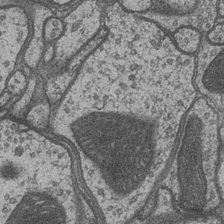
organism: Drosophila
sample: Optic medulla